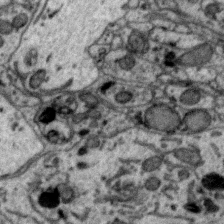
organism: Zebra finch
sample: Brain